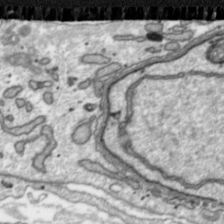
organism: Toxoplasma gondii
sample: Parasites in a vacuole inside a host cell